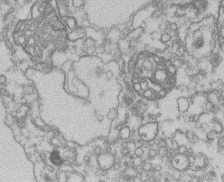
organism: Mouse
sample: T cell stromal cell synapse